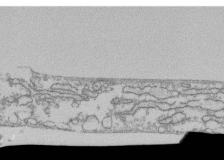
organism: Human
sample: Fibroblast cells